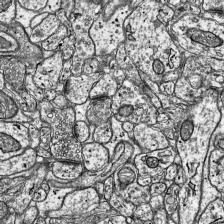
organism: Mouse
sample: Visual Cortex